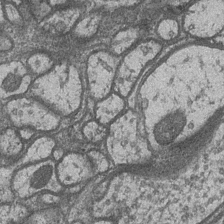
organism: Drosophila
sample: Optic medulla